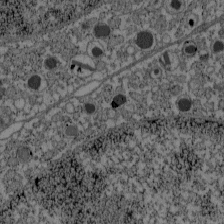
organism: C57BL Mouse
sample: Pancreatic islet